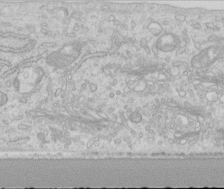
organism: Human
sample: Centriole in RPE cells